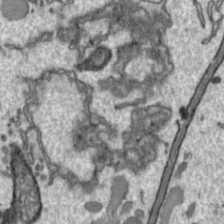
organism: Toxoplasma gondii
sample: Parasites in a vacuole inside a host cell